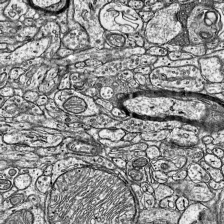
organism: Mouse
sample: Visual Cortex